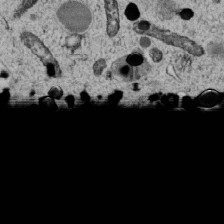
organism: C. elegans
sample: C. elegans embryo early stage